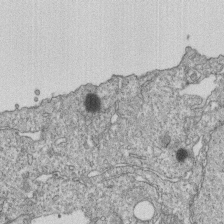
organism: Human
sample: HeLa cell HIV synapse